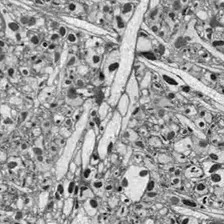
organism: Drosophila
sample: Optic lobe